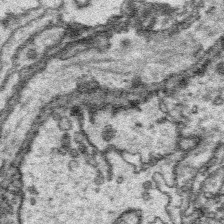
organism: Platynereis dumerilii